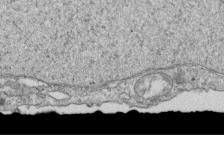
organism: Human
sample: HeLa cell HIV synapse